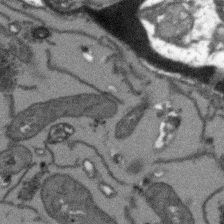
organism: Arabidopsis thaliana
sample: Root tip